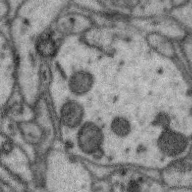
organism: Zebra finch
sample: Brain